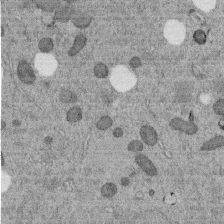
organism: C. elegans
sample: C. elegans embryo early stage